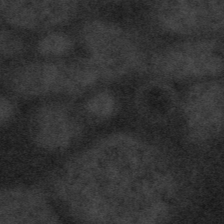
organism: Tuwongella immobilis